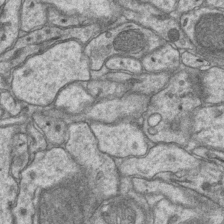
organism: Mouse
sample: CA1 Hippocampus